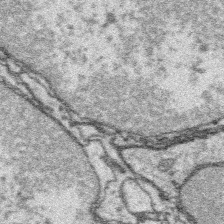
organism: Platynereis dumerilii